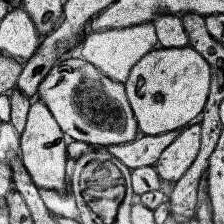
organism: Human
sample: Temporal Lobe